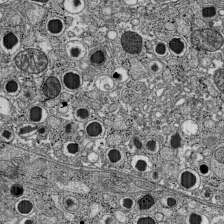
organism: C57BL Mouse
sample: Pancreatic islet